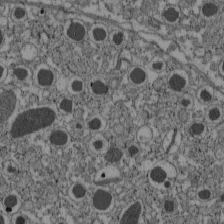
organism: C57BL Mouse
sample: Pancreatic islet